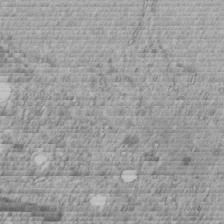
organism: C. elegans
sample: C. elegans embryo early stage